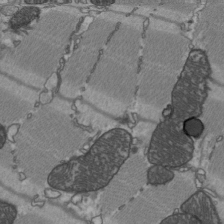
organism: C57BL Mouse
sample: Heart